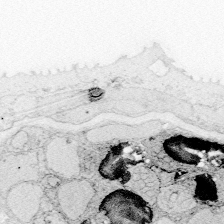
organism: Zebrafish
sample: Whole-Brain